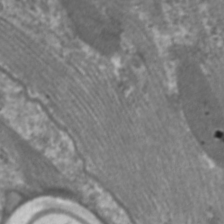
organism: C. elegans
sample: Pharynx